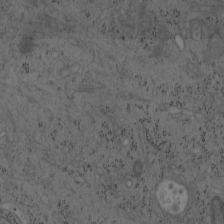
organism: Mouse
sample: OT-I killer T cells with ID8 ovarian cancer cells